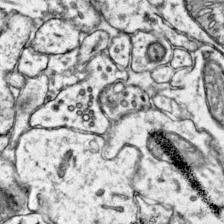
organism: Mouse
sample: Primary visual cortex